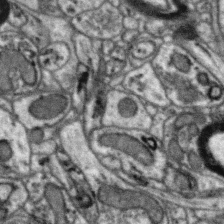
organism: Zebra finch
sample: Brain